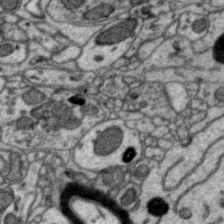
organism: Zebra finch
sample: Brain